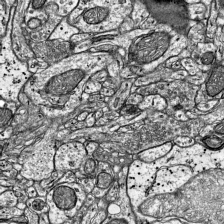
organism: Mouse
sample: Visual Cortex